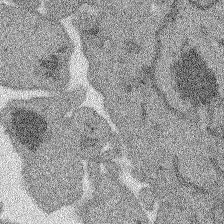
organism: Human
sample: HeLa cells